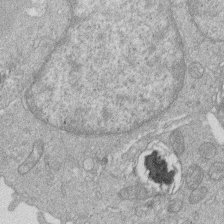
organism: Human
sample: Macrophage cells